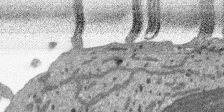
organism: Human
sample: Lung epithelial cells infected with SARS-CoV-2